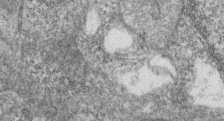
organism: Zebrafish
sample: Cilia; retinal pigment epithelium